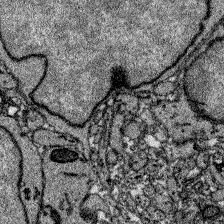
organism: Zebrafish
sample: Larval olfactory bulb